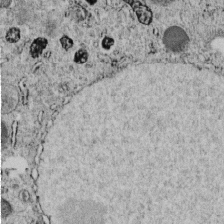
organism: C. elegans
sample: C. elegans embryo early stage